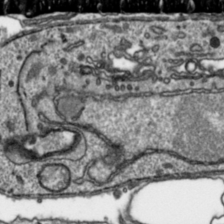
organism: Toxoplasma gondii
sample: Parasites in a vacuole inside a host cell